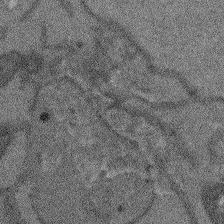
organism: Arabidopsis thaliana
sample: Root tip